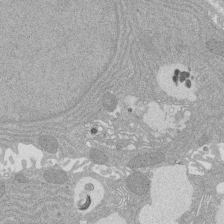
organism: Rat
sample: Salivary granule